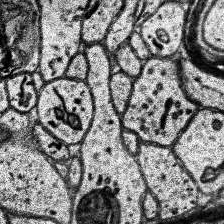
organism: Human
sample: Temporal Lobe